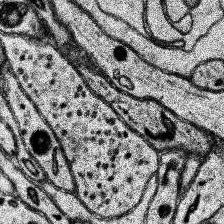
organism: Human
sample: Temporal Lobe